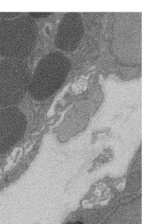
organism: Rat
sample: Salivary granule